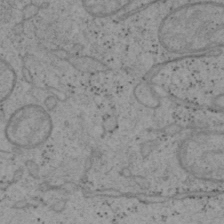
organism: Human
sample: HeLa cells